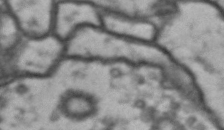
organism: Drosophila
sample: Brain